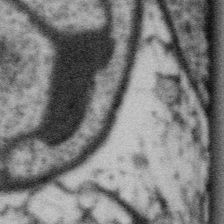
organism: Gemmata obscuriglobus